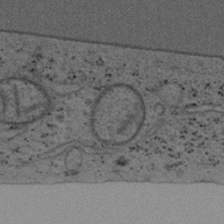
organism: Human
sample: HeLa cells